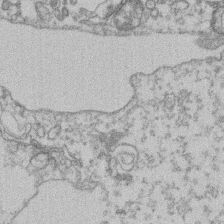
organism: Mouse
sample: T cell stromal cell synapse